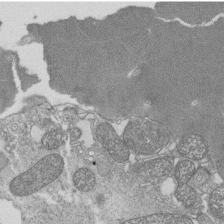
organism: Tetrahymena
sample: Cilia in tetrahymena